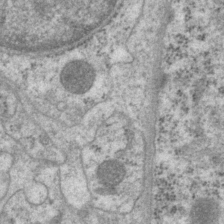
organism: P. pacificus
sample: Pharynx